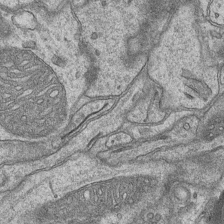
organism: Mouse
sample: CA1 Hippocampus